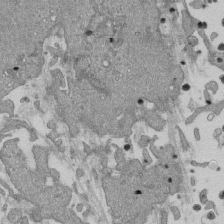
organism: Mouse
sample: ED-1 cell nuclei; centrioles